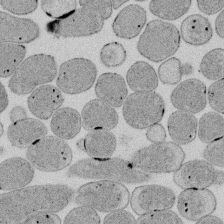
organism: E. coli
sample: Bacterial nucleoid